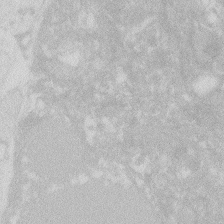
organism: Zebrafish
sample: Macrophage